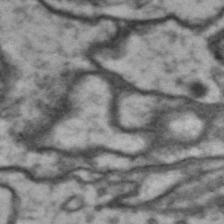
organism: Drosophila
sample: Brain